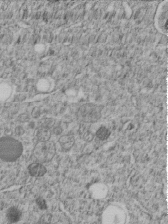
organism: C. elegans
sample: C. elegans embryo early stage